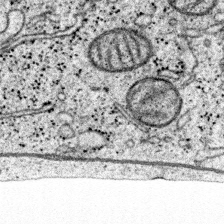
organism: Human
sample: HeLa cells